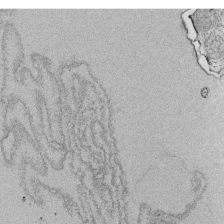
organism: Tetrahymena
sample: Cilia in tetrahymena